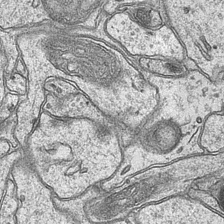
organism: Mouse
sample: CA1 Hippocampus